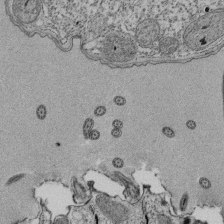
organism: Tetrahymena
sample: Cilia in tetrahymena